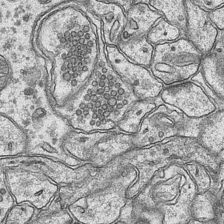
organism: Mouse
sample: CA1 Hippocampus